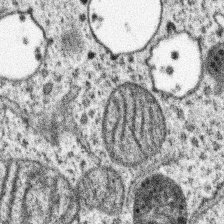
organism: Human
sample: HeLa cells